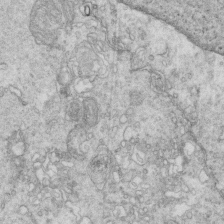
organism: Mouse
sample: Multiciliated cells